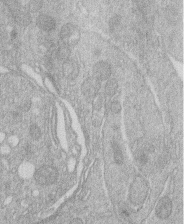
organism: Human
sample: Macrophage cells